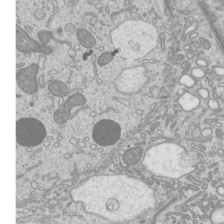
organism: Mouse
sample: Cilia; mouse epididymis